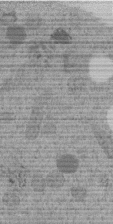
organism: C. elegans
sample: C. elegans embryo early stage